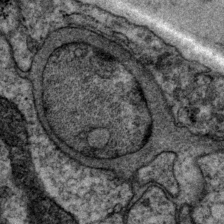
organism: P. pacificus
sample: Pharynx